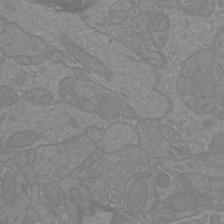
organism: Mouse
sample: Cortical neurons